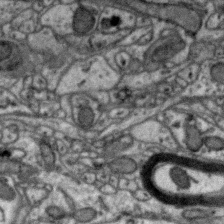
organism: Zebra finch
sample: Brain